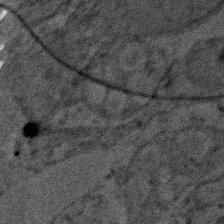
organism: Zebrafish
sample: Zebrafish embryo